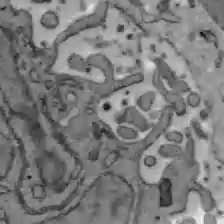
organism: C57BL Mouse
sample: Liver